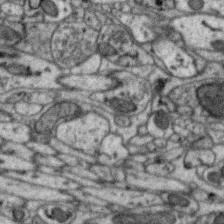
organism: Zebra finch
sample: Brain